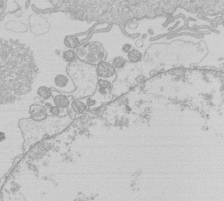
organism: Human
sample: Macrophage cells